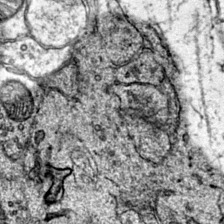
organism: Mouse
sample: Primary visual cortex